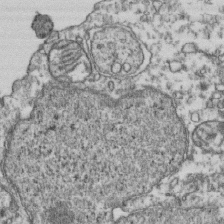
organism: Human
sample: Activated Jurkat CD4+ T cells